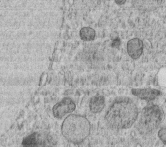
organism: C. elegans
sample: C. elegans embryo early stage